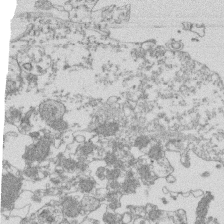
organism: Human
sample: HeLa cell HIV synapse